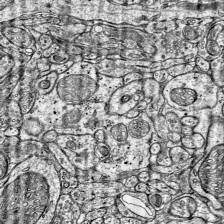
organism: Mouse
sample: Visual Cortex